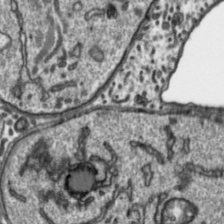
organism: Toxoplasma gondii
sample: Parasites in a vacuole inside a host cell